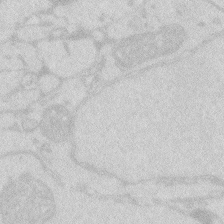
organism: Zebrafish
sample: Macrophage